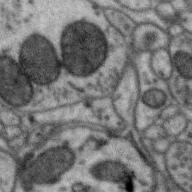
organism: Zebra finch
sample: Brain